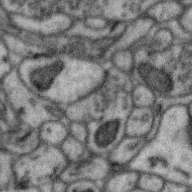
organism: Zebra finch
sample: Brain